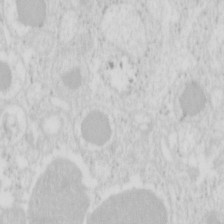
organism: Mouse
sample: Pancreas